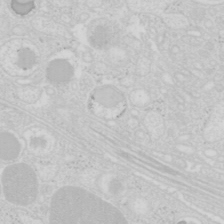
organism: Mouse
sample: Pancreas